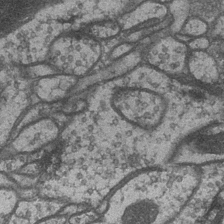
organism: Drosophila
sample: Optic medulla